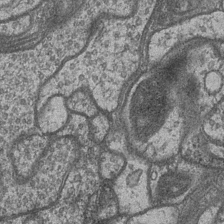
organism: Drosophila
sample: Optic medulla